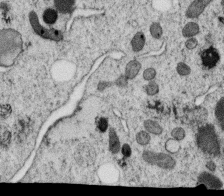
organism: C. elegans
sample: C. elegans oocyte; sperm cells